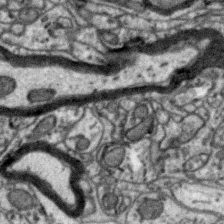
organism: Zebra finch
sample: Brain